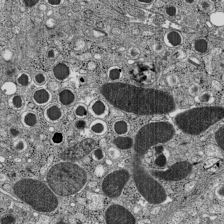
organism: C57BL Mouse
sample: Pancreatic islet